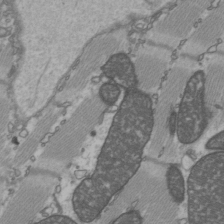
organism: C57BL Mouse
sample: Heart